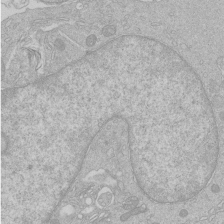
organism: Human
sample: Macrophage cells